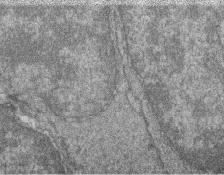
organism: Zebrafish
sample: Cilia; retinal pigment epithelium